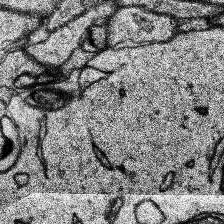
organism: Human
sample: Temporal Lobe